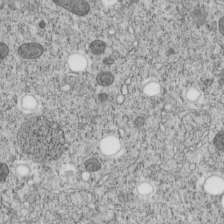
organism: C. elegans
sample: C. elegans embryo early stage